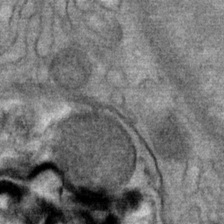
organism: Mouse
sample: Mouse Salivary gland